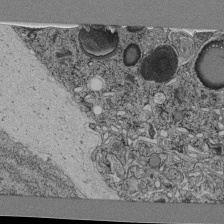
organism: C. elegans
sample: C. elegans pharynx